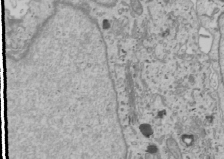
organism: Human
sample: Mitochondria in U2OS cells